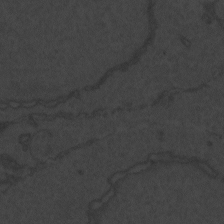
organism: Zebrafish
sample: Macrophage infected with Toxoplasma gondii